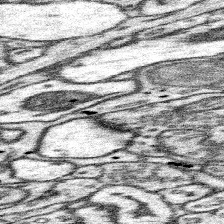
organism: Mouse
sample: Somatosensory cortex neuropil